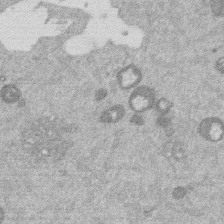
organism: Mouse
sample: Dividing mouse embryo 1 cell stage